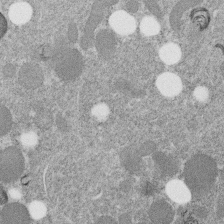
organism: C. elegans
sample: C. elegans embryo early stage